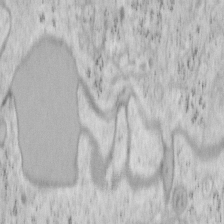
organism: Human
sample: HeLa cells